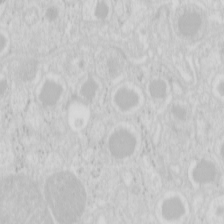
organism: Mouse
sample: Pancreas